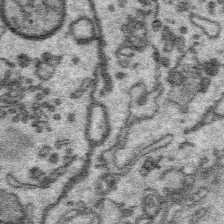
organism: Platynereis dumerilii